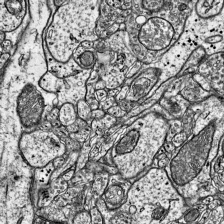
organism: Mouse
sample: Visual Cortex